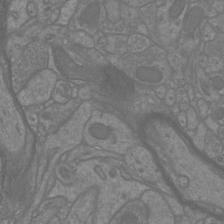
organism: Mouse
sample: Cortical neurons